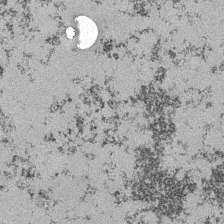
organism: Mouse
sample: CA1 Hippocampus